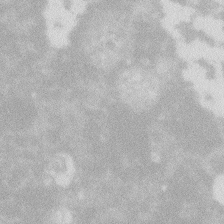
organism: Zebrafish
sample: Macrophage